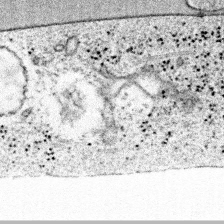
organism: Human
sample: HeLa cells